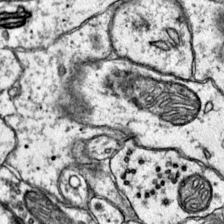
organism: Mouse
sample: Primary visual cortex